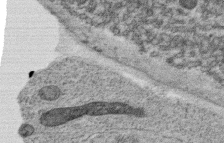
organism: C. elegans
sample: C. elegans oocyte; sperm cells